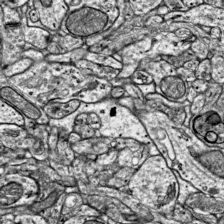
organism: Mouse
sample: Visual Cortex